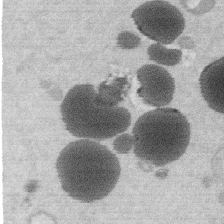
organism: Mouse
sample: Dividing mouse embryo 1 cell stage